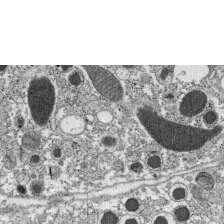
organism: C57BL Mouse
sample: Pancreatic islet